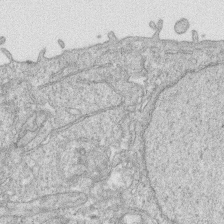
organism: Human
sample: HeLa cell HIV synapse